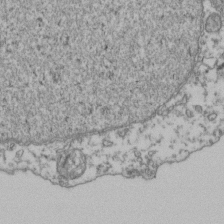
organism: Human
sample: Activated Jurkat CD4+ T cells